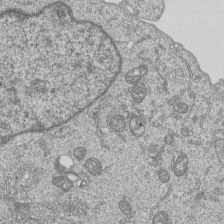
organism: Human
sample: MDA-MB-231 cells